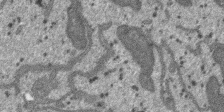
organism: Human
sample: Lung epithelial cells infected with SARS-CoV-2